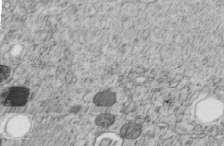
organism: C. elegans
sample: C. elegans embryo early stage